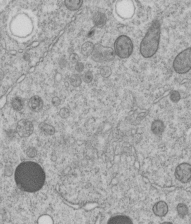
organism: C. elegans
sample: C. elegans embryo early stage